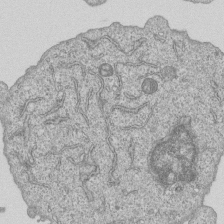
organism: Human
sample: MDA-MB-231 cells